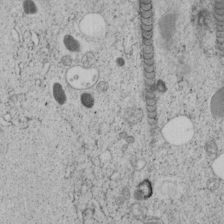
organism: C. elegans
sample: C. elegans embryo early stage